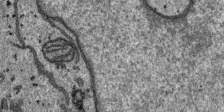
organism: Human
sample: Lung epithelial cells, uninfected (mock) control